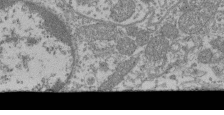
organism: Mouse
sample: Glomerulus